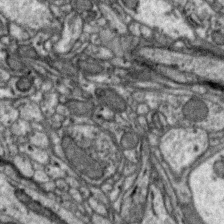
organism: Zebra finch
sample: Brain